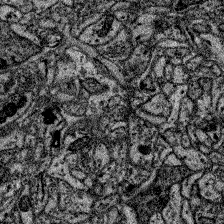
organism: Zebrafish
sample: Larval olfactory bulb